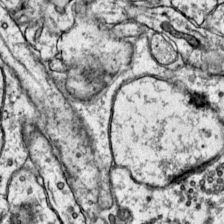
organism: Mouse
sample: Primary visual cortex